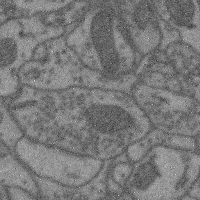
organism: Mouse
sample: Cerebral cortex